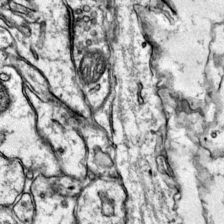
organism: Mouse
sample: Primary visual cortex